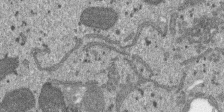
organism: Human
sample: Lung epithelial cells infected with SARS-CoV-2